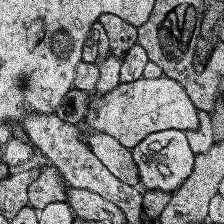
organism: Human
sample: Temporal Lobe